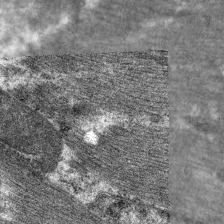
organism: C. elegans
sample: Pharynx